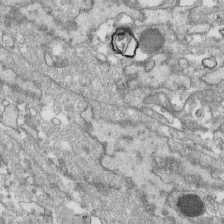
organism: Human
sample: CRL-1474